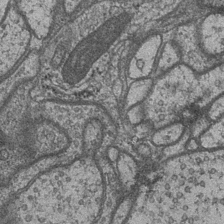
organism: Drosophila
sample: Optic medulla